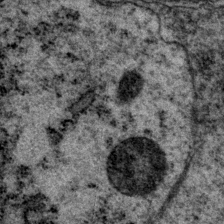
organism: P. pacificus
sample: Pharynx